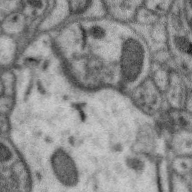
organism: Zebra finch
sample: Brain